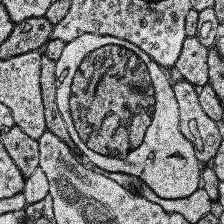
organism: Human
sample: Temporal Lobe